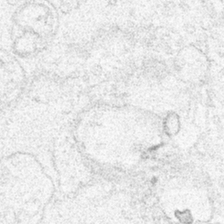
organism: Human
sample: Mitochondria in HCT116 cells